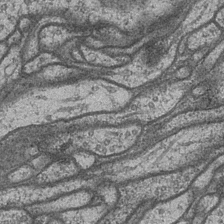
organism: Drosophila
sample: Optic medulla